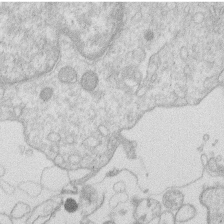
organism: Human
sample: Macrophage cells